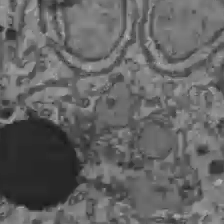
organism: C57BL Mouse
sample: Liver